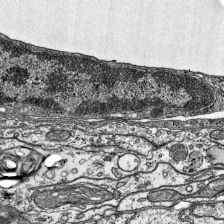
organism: Mouse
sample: Visual Cortex